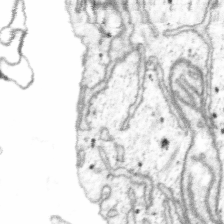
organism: Human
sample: HeLa cells